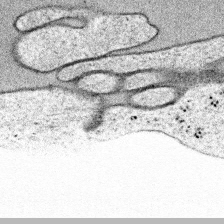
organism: Human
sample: HeLa cells